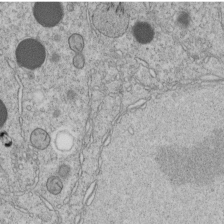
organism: C. elegans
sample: C. elegans embryo early stage